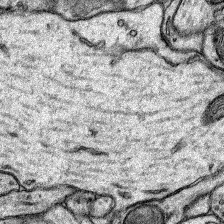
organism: Rat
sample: Hippocampus